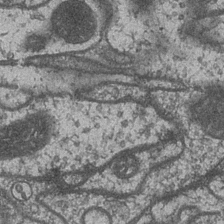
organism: Drosophila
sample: Optic medulla